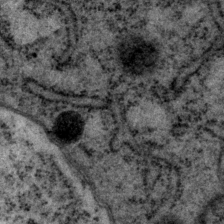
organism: P. pacificus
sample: Pharynx